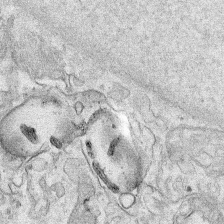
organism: Human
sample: Mitochondria in HCT116 cells